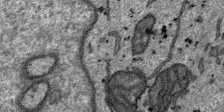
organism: Human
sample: Lung epithelial cells, uninfected (mock) control